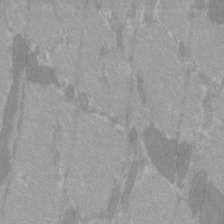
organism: C57BL Mouse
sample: Tibialis anterior muscle cell